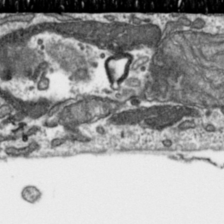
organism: Toxoplasma gondii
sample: Parasites in a vacuole inside a host cell